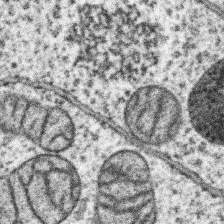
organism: Human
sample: HeLa cells